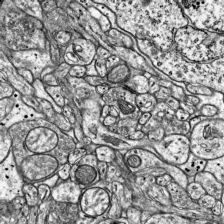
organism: Mouse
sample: Visual Cortex